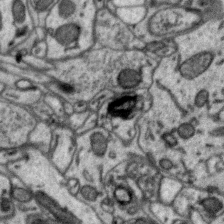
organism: Zebra finch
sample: Brain